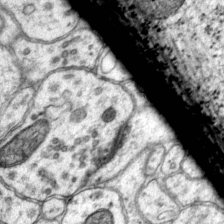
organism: Mouse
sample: Primary visual cortex